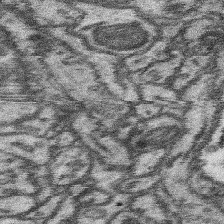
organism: Mouse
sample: Somatosensory cortex neuropil